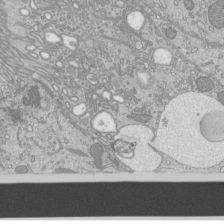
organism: Mouse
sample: Cilia; mouse epididymis